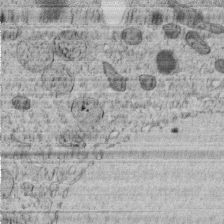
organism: C. elegans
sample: C. elegans embryo early stage